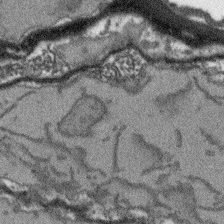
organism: Arabidopsis thaliana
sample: Root tip